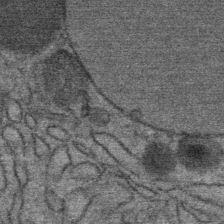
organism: Mouse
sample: Mouse Salivary gland